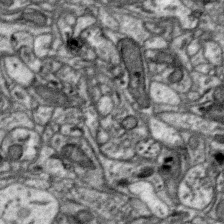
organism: Zebra finch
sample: Brain